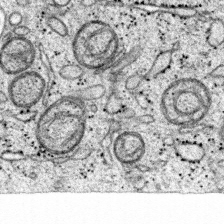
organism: Human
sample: HeLa cells